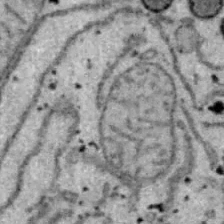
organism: Mouse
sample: Liver from an obese (ob/ob) mouse